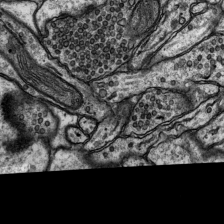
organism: Rat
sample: Hippocampus